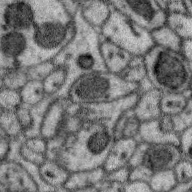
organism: Zebra finch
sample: Brain